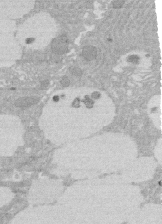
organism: Rat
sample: Salivary granule